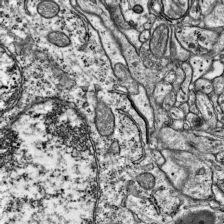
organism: Mouse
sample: Visual Cortex